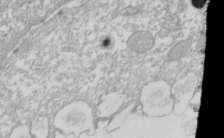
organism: Xenopus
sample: Cilia; centrioles in frog embryo cells